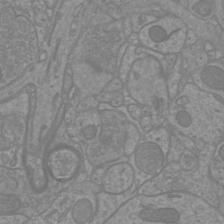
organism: Mouse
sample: Cortical neurons